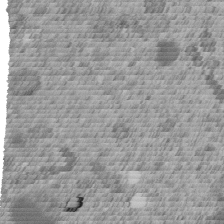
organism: C. elegans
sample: C. elegans embryo early stage